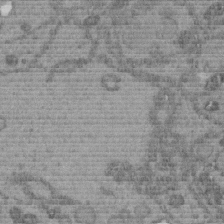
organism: C. elegans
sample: C. elegans embryo early stage